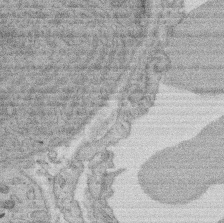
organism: Rat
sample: Salivary granule